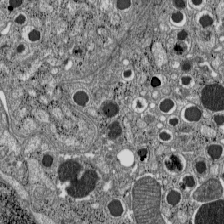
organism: C57BL Mouse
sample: Pancreatic islet